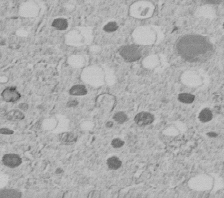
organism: C. elegans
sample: C. elegans embryo early stage